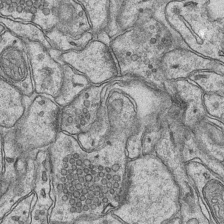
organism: Mouse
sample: CA1 Hippocampus